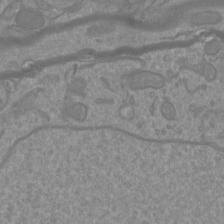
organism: Mouse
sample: Cortical neurons